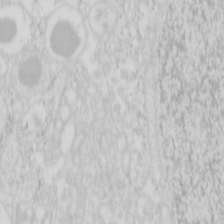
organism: Mouse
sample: Pancreas